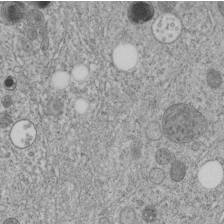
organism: C. elegans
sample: C. elegans embryo early stage